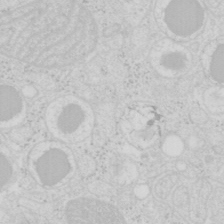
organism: Mouse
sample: Pancreas